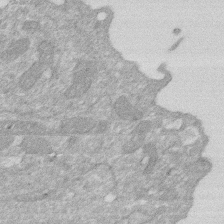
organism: Human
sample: HIV infected U937 cells